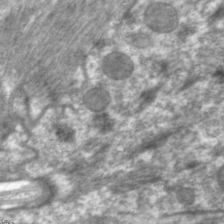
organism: C. elegans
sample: Pharynx